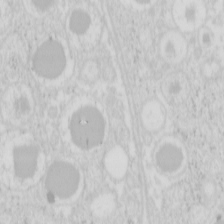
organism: Mouse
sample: Pancreas